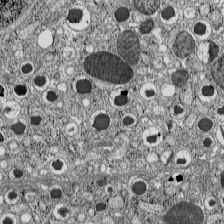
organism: C57BL Mouse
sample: Pancreatic islet